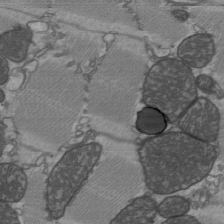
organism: C57BL Mouse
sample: Heart